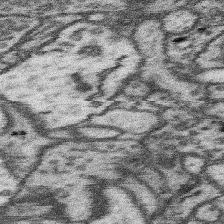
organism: Mouse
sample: Somatosensory cortex neuropil